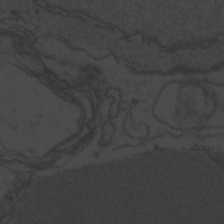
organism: Zebrafish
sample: Macrophage infected with Toxoplasma gondii